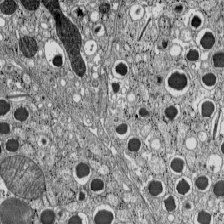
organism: C57BL Mouse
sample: Pancreatic islet